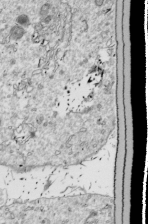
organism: Drosophila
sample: Cell division; meiosis; drosophila spermatocytes